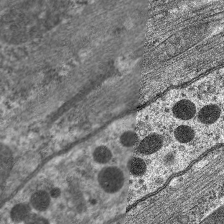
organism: C. elegans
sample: Pharynx